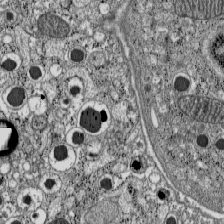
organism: C57BL Mouse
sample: Pancreatic islet